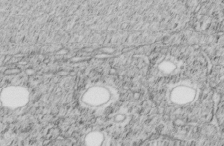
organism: C. elegans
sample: C. elegans embryo early stage